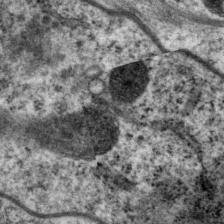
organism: P. pacificus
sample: Pharynx